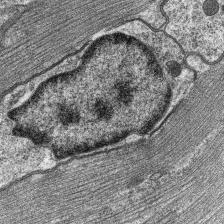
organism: C. elegans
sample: Pharynx